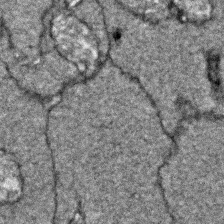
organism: Zebrafish